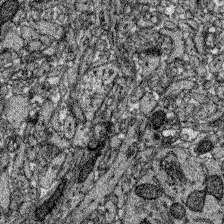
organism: Zebrafish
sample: Larval olfactory bulb